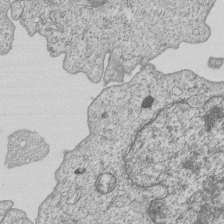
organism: Human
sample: MDA-MB-231 cells